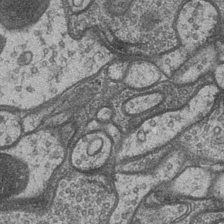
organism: Drosophila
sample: Optic medulla